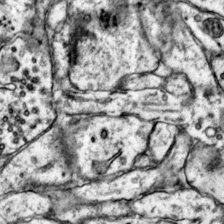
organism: Mouse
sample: Primary visual cortex